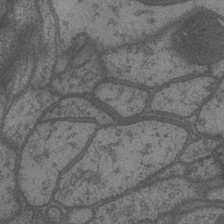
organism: Drosophila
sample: Optic medulla